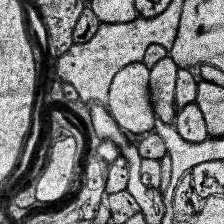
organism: Human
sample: Temporal Lobe